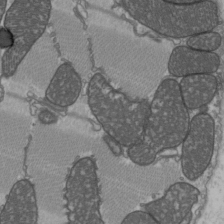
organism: C57BL Mouse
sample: Heart